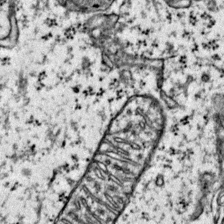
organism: Mouse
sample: Primary visual cortex